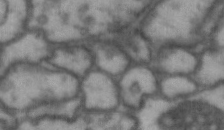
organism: Drosophila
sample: Brain